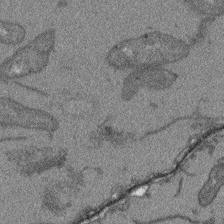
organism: Arabidopsis thaliana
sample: Root tip